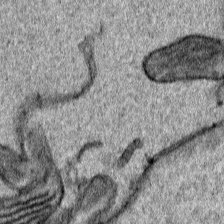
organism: Human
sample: Mitochondria in HCT116 cells